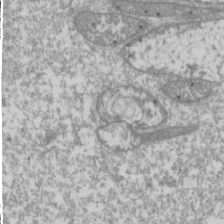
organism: Drosophila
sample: Cell division; meiosis; drosophila spermatocytes